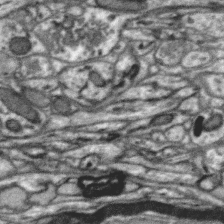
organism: Zebra finch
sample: Brain